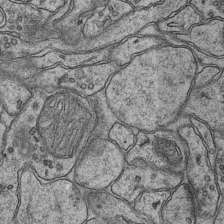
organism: Mouse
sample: CA1 Hippocampus